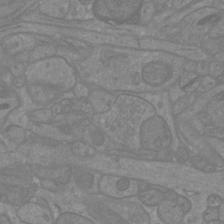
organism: Mouse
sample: Cortical neurons